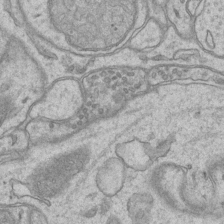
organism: Mouse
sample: CA1 Hippocampus